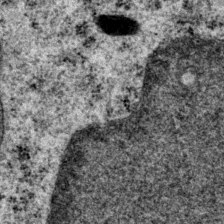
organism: P. pacificus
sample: Pharynx